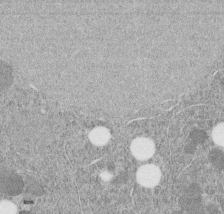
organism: C. elegans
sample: C. elegans embryo early stage